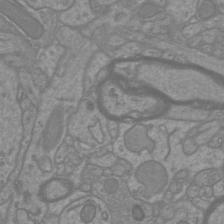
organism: Mouse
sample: Cortical neurons